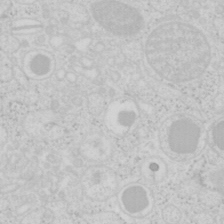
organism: Mouse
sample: Pancreas